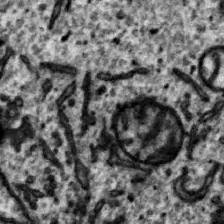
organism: Human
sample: HeLa cells